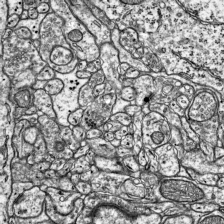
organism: Mouse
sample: Visual Cortex